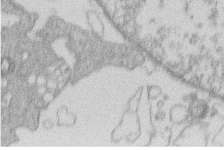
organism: Human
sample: Macrophage cells